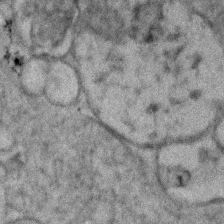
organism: Human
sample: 1205lu cells